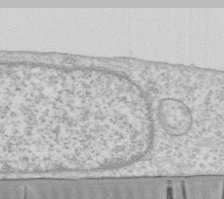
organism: Human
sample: Fibroblast cells